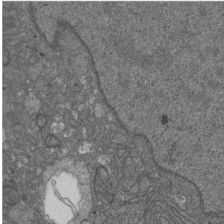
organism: Drosophila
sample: Nephrocyte